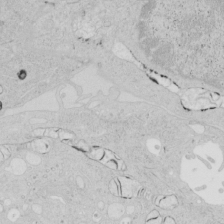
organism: Human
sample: Mitochondria in HCT116 cells